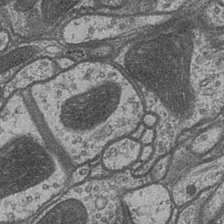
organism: Drosophila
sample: Optic medulla